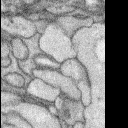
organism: Rabbit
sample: Retina